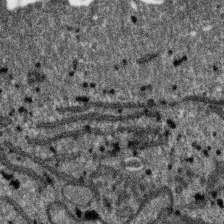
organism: Human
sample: Lung epithelial cells infected with SARS-CoV-2